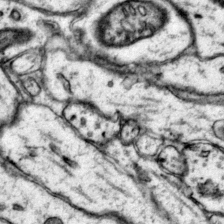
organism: Mouse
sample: Primary visual cortex